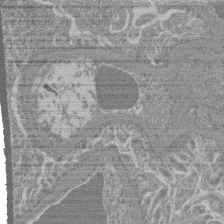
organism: Mouse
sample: Glomerulus